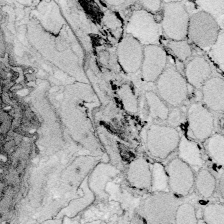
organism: Zebrafish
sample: Whole-Brain